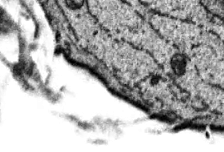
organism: Human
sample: HeLa cells